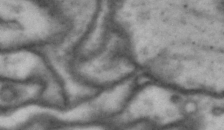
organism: Drosophila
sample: Brain